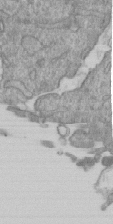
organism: Mouse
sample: ED-1 cell nuclei; centrioles